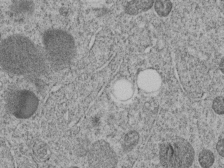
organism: C. elegans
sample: C. elegans embryo early stage